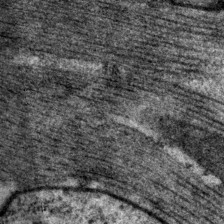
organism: P. pacificus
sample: Pharynx